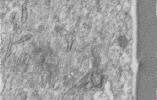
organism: Human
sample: Centriole in RPE cells